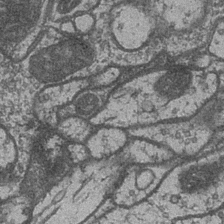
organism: Drosophila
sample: Optic medulla